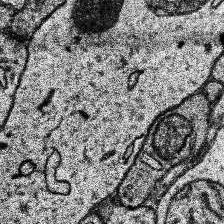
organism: Human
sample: Temporal Lobe